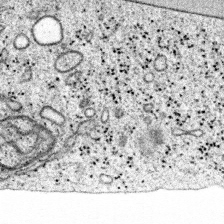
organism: Human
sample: HeLa cells